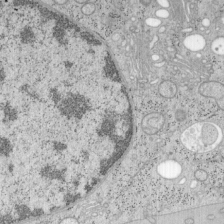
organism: Mouse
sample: OT-I killer T cells with ID8 ovarian cancer cells